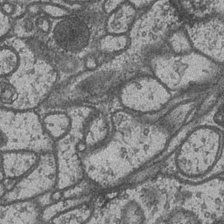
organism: Drosophila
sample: Optic medulla